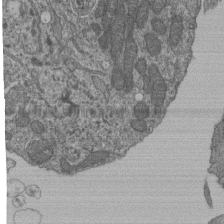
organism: Human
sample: Retinal organoid Rod and Cone cells